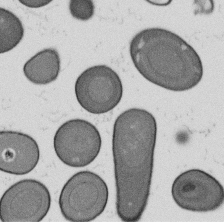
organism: B. subtilis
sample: Bacterial spore